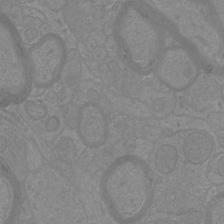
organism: Mouse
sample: Cortical neurons